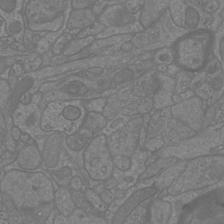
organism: Mouse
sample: Cortical neurons